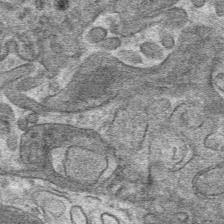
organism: Mouse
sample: Mouse hepatocytes